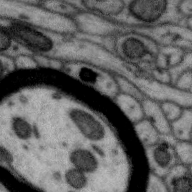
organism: Zebra finch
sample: Brain